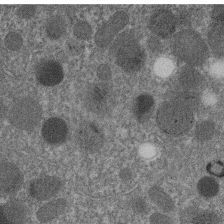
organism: C. elegans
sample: C. elegans embryo early stage